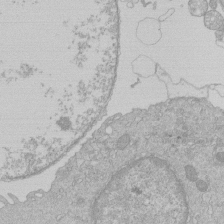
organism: Human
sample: Macrophage cells